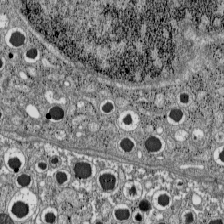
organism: C57BL Mouse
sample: Pancreatic islet